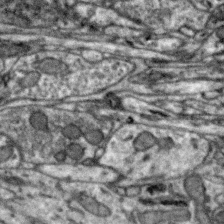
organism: Zebra finch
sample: Brain